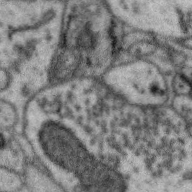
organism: Zebra finch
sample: Brain